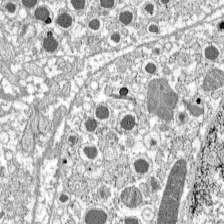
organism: C57BL Mouse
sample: Pancreatic islet